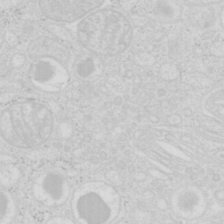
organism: Mouse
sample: Pancreas